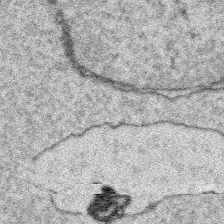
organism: Platynereis dumerilii